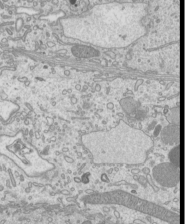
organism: Mouse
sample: Cilia; mouse epididymis